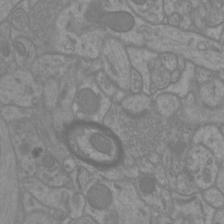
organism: Mouse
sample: Cortical neurons